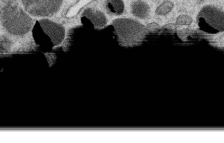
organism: C. elegans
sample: C. elegans oocyte; sperm cells